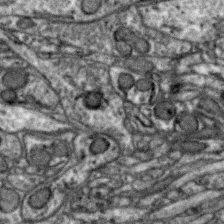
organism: Zebra finch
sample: Brain